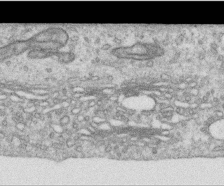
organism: Human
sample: Centriole in RPE cells